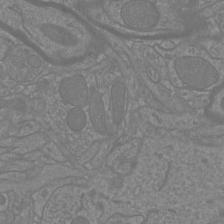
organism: Mouse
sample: Cortical neurons